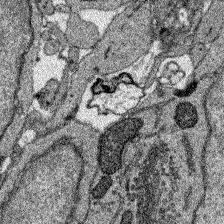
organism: Zebrafish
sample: Larval olfactory bulb